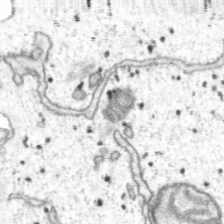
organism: Human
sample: HeLa cells